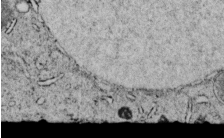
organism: C. elegans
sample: C. elegans embryo early stage